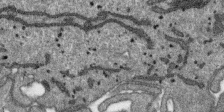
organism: Human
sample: Lung epithelial cells, uninfected (mock) control